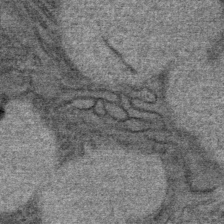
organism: Mouse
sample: Mouse Salivary gland